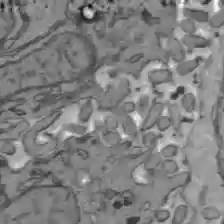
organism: C57BL Mouse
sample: Liver